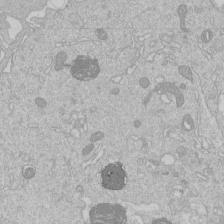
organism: Human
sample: Macrophage cells